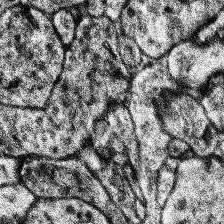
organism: Human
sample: Temporal Lobe